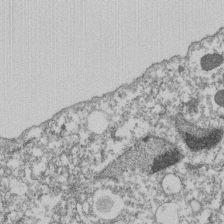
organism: Dictyostelium discoideum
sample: Dictyostelium multivesicular bodies